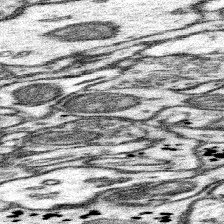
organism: Mouse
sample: Somatosensory cortex neuropil